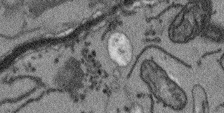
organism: Arabidopsis thaliana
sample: Root tip